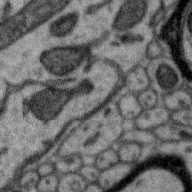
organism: Zebra finch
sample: Brain